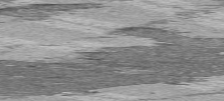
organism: C57BL Mouse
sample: Heart